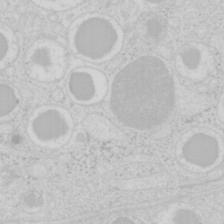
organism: Mouse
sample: Pancreas